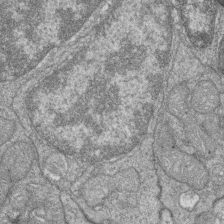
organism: Zebrafish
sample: Cilia; retinal pigment epithelium